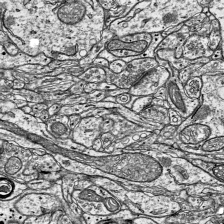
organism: Mouse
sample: Visual Cortex